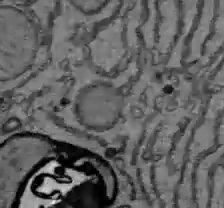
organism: C57BL Mouse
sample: Liver